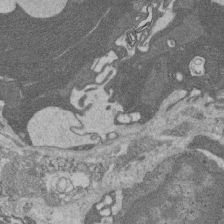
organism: Rat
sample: Salivary granule